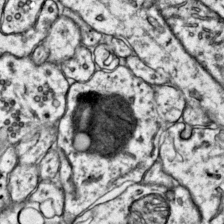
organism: Mouse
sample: Primary visual cortex